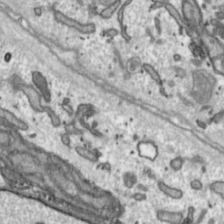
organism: Toxoplasma gondii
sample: Parasites in a vacuole inside a host cell